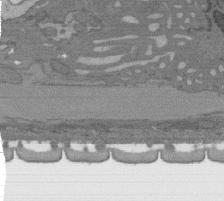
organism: C. elegans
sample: AFD neurons C. elegans